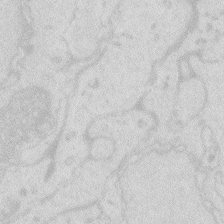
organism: Zebrafish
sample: Macrophage